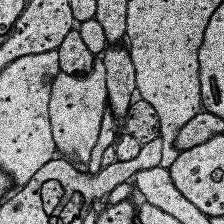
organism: Human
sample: Temporal Lobe